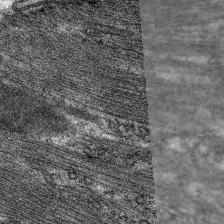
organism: C. elegans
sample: Pharynx